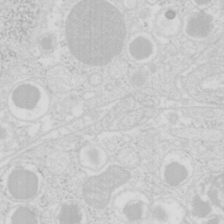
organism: Mouse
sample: Pancreas